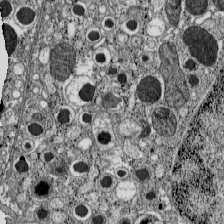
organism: C57BL Mouse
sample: Pancreatic islet